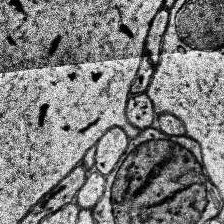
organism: Human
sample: Temporal Lobe